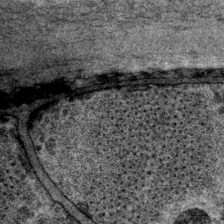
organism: P. pacificus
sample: Pharynx